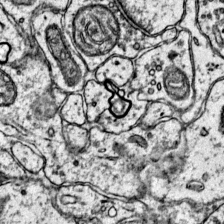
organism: Mouse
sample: Primary visual cortex